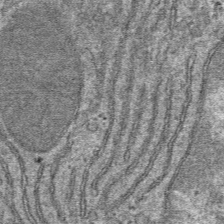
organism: Mouse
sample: Mouse hepatocytes